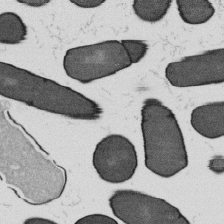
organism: B. subtilis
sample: Bacterial spore